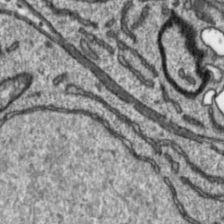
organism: Toxoplasma gondii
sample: Parasites in a vacuole inside a host cell